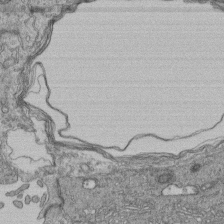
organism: Human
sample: Retinal organoid Rod and Cone cells